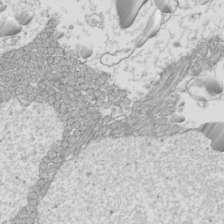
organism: Mouse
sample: Cilia; mouse epididymis